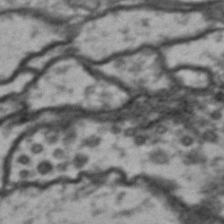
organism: Drosophila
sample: Brain